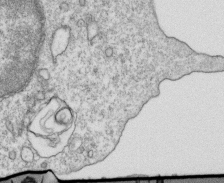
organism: Mouse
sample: Activated OT-1 CD8+ T cells